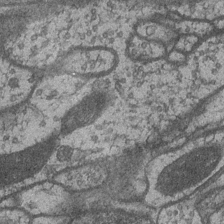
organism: Drosophila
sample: Optic medulla